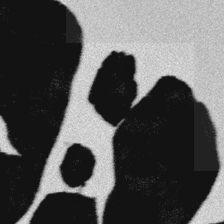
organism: Platynereis dumerilii